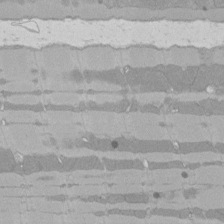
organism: Rat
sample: Left ventricle